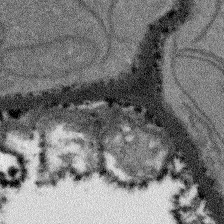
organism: Arabidopsis thaliana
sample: Root tip